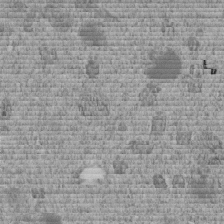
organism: C. elegans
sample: C. elegans embryo early stage